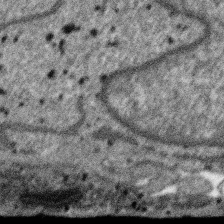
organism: Human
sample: Lung epithelial cells infected with SARS-CoV-2